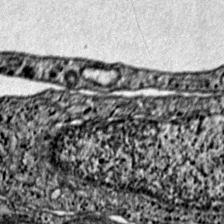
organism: Mouse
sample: Primary visual cortex